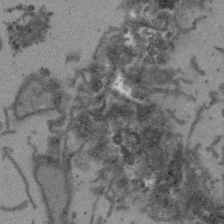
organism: Arabidopsis thaliana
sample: Root tip